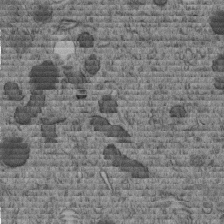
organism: C. elegans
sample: C. elegans embryo early stage